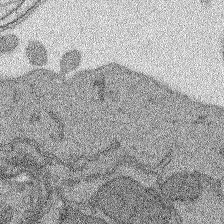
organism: Human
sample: HeLa cells